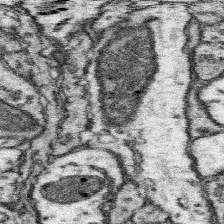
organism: Mouse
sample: Somatosensory cortex neuropil